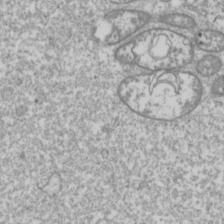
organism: Drosophila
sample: Cell division; meiosis; drosophila spermatocytes